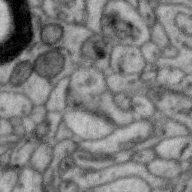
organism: Zebra finch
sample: Brain